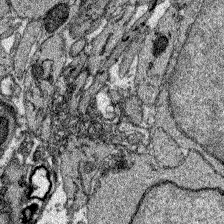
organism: Zebrafish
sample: Larval olfactory bulb